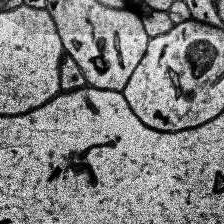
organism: Human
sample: Temporal Lobe